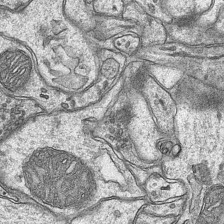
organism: Mouse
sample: CA1 Hippocampus